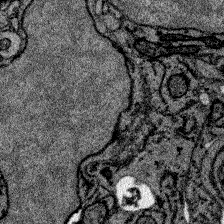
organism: Zebrafish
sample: Larval olfactory bulb